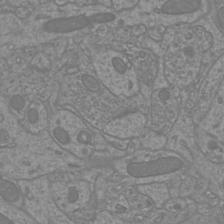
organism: Mouse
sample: Cortical neurons